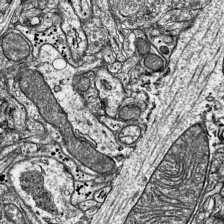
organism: Mouse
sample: Visual Cortex